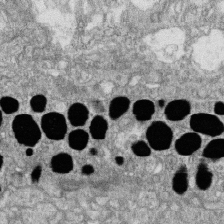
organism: Zebrafish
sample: Cilia; retinal pigment epithelium